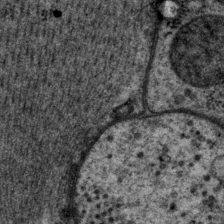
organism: P. pacificus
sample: Pharynx